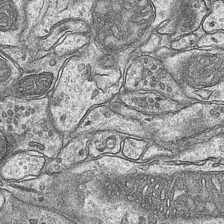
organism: Mouse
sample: CA1 Hippocampus